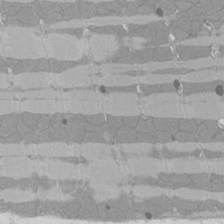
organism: Rat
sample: Left ventricle